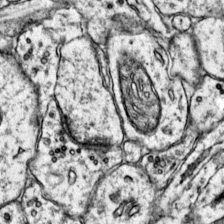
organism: Mouse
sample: Primary visual cortex